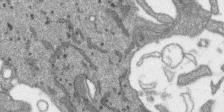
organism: Human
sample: Lung epithelial cells infected with SARS-CoV-2